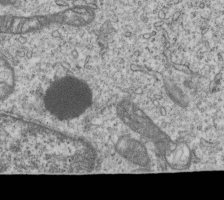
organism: Human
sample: MDA-MB-231 cells